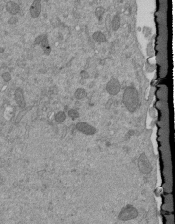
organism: Mouse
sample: ED-1 cell nuclei; centrioles